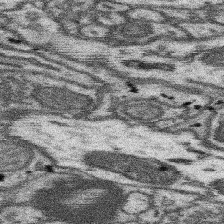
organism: Mouse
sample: Somatosensory cortex neuropil